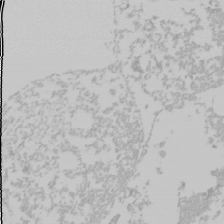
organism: Mouse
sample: Cancer cell death in ED-1 cells